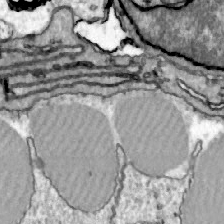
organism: Zebrafish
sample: Actinotrichia fibers